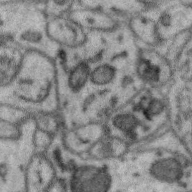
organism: Zebra finch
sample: Brain